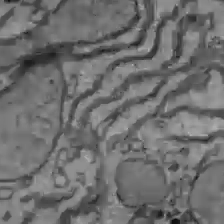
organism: C57BL Mouse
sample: Liver